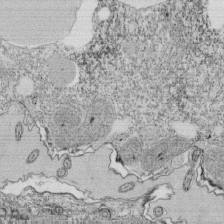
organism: Tetrahymena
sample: Cilia in tetrahymena